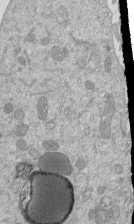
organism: Mouse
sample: ED-1 cell nuclei; centrioles